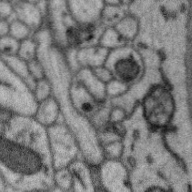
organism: Zebra finch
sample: Brain